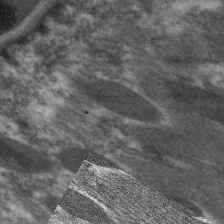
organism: C. elegans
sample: Pharynx